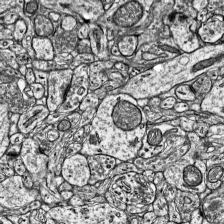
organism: Mouse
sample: Visual Cortex